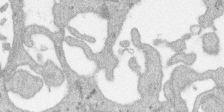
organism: Human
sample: Lung epithelial cells infected with SARS-CoV-2